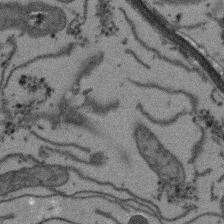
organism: Arabidopsis thaliana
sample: Root tip